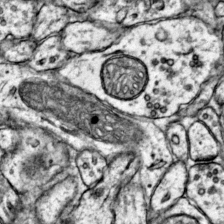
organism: Mouse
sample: Primary visual cortex